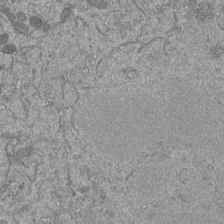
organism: Mouse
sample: ED-1 cell nuclei; centrioles